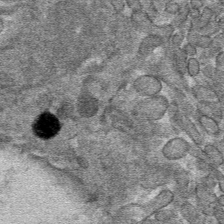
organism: Mouse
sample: Mouse hepatocytes